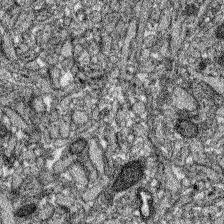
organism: Zebrafish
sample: Larval olfactory bulb